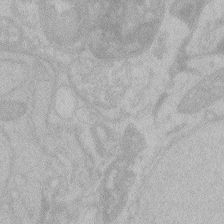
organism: Zebrafish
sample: Macrophage infected with Toxoplasma gondii